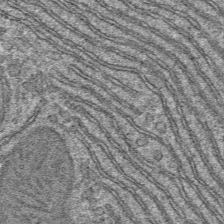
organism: Mouse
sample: Mouse hepatocytes